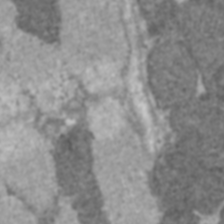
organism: C57BL Mouse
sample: Heart